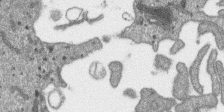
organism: Human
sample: Lung epithelial cells infected with SARS-CoV-2